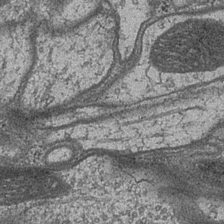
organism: Drosophila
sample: Optic medulla